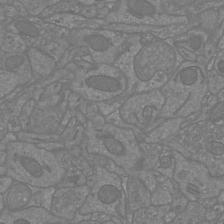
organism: Mouse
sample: Cortical neurons